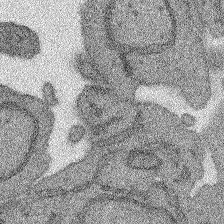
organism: Human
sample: HeLa cells